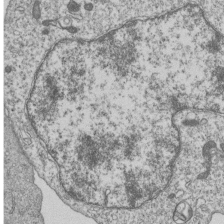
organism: Human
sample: MDA-MB-231 cells